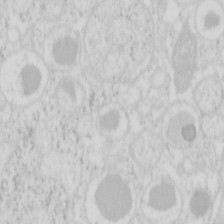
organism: Mouse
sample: Pancreas